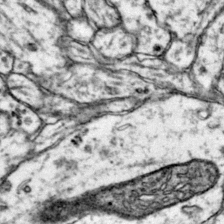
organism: Mouse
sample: Primary visual cortex